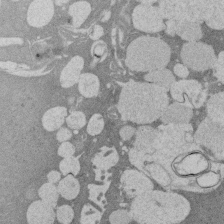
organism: Rat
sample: Salivary granule